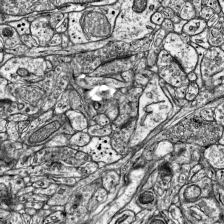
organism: Mouse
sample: Visual Cortex